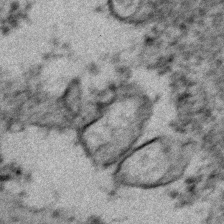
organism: Zebrafish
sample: Zebrafish embryo